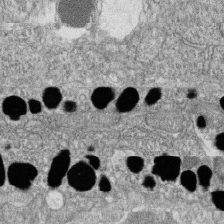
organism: Zebrafish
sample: Cilia; retinal pigment epithelium